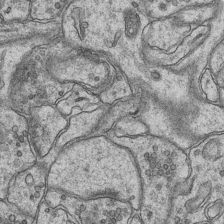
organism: Mouse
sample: CA1 Hippocampus